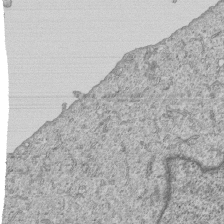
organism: Human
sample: MDA-MB-231 cells